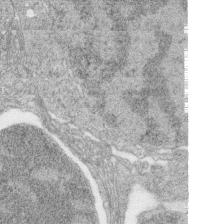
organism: Zebrafish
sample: synaptic ribbons in rod cells and cone cells